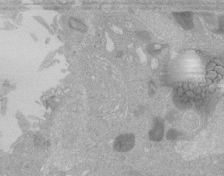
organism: Human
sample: Retinal organoid Rod and Cone cells